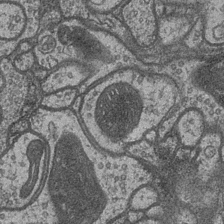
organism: Drosophila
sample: Optic medulla